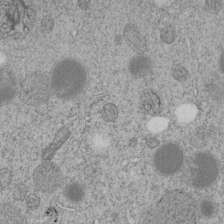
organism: C. elegans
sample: C. elegans embryo early stage